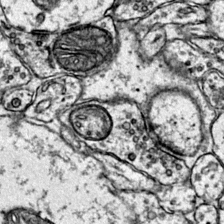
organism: Mouse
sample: Primary visual cortex